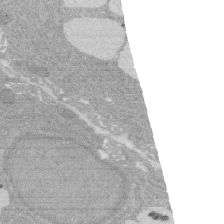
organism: Rat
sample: Salivary granule